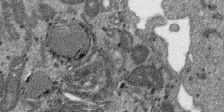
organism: Human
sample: Lung epithelial cells infected with SARS-CoV-2